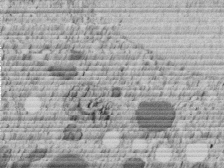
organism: C. elegans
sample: C. elegans embryo early stage